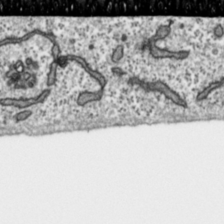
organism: Toxoplasma gondii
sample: Parasites in a vacuole inside a host cell